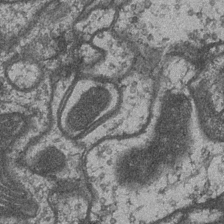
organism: Drosophila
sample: Optic medulla